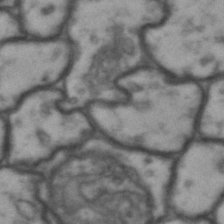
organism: Drosophila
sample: Brain